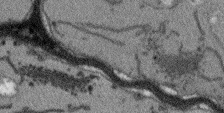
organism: Arabidopsis thaliana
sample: Root tip